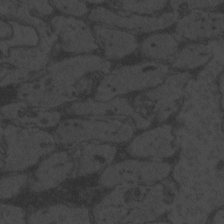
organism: Zebrafish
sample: Macrophage infected with Toxoplasma gondii